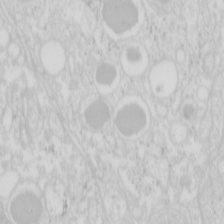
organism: Mouse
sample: Pancreas